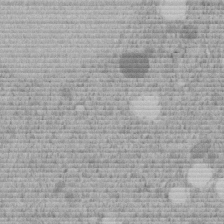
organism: C. elegans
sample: C. elegans embryo early stage